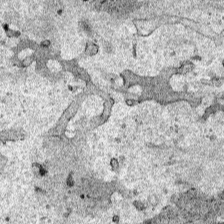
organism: Human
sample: Mitochondria in HCT116 cells